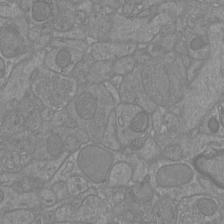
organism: Mouse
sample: Cortical neurons